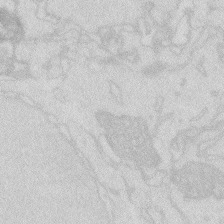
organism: Zebrafish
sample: Macrophage